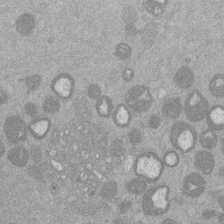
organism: Mouse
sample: Dividing mouse embryo 1 cell stage